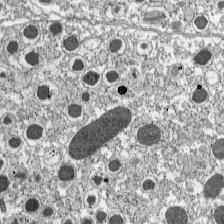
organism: C57BL Mouse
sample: Pancreatic islet